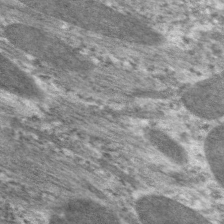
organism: C. elegans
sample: Pharynx